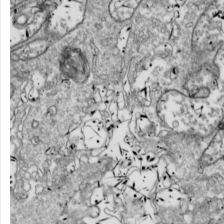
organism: Drosophila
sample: Cell division; meiosis; drosophila spermatocytes